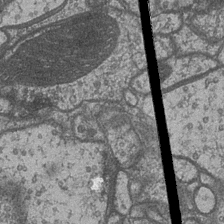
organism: Drosophila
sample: Optic medulla